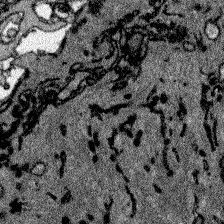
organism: Zebrafish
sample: Larval olfactory bulb